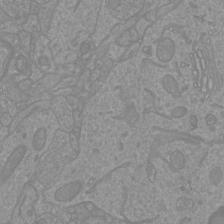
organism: Mouse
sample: Cortical neurons